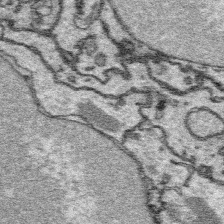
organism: Platynereis dumerilii